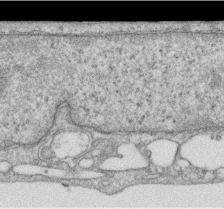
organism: Human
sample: Centriole in RPE cells